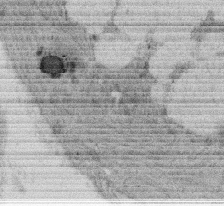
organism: Rat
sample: Salivary granule